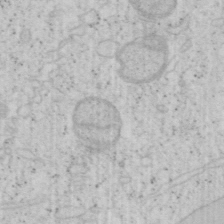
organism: Human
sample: HeLa cells